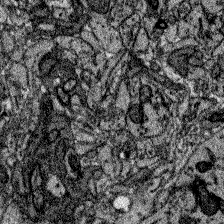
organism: Zebrafish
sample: Larval olfactory bulb